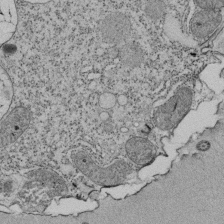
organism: Tetrahymena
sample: Cilia in tetrahymena